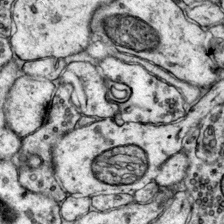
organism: Mouse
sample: Primary visual cortex